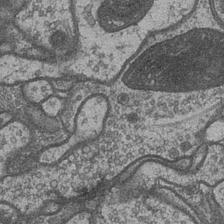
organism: Drosophila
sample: Optic medulla